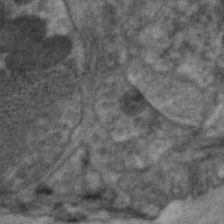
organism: C. elegans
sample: Pharynx